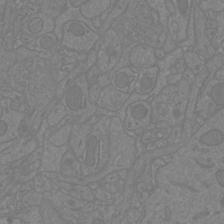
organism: Mouse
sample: Cortical neurons